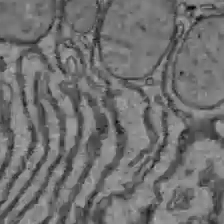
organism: C57BL Mouse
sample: Liver